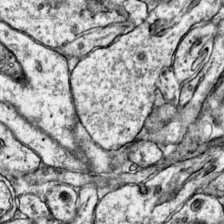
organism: Mouse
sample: Primary visual cortex